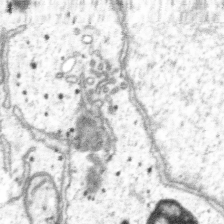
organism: Human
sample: HeLa cells